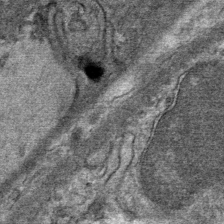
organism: Mouse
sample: Mouse Salivary gland